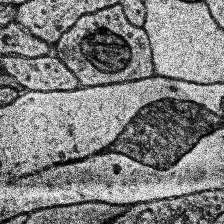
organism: Human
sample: Temporal Lobe